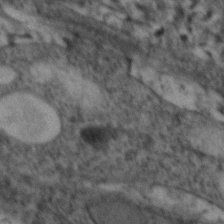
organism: Zebrafish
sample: Zebrafish embryo